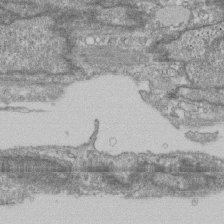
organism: Human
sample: Fibroblast cells